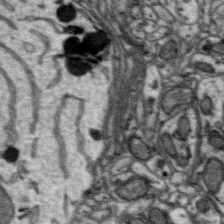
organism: Zebra finch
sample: Brain